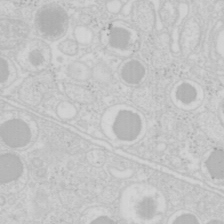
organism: Mouse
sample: Pancreas